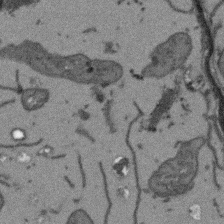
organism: Arabidopsis thaliana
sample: Root tip